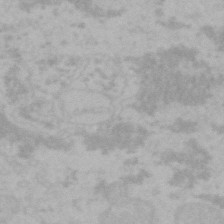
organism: Mouse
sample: Choroid plexus